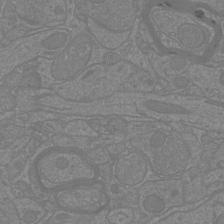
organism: Mouse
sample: Cortical neurons